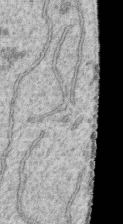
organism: Human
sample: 1205lu cells